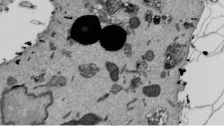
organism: Mouse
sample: ED-1 cell nuclei; centrioles